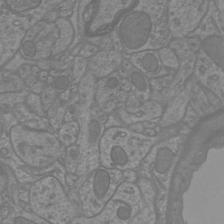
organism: Mouse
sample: Cortical neurons